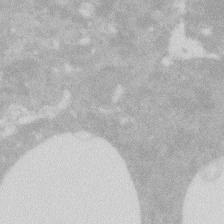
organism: Zebrafish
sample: Macrophage